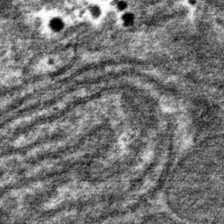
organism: Mouse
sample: Mouse hepatocytes